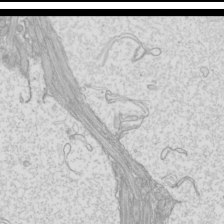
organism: Mouse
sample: Cilia; mouse epididymis